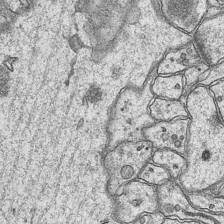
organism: Mouse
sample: CA1 Hippocampus